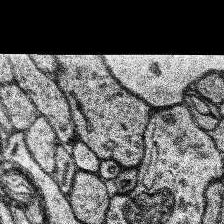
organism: Human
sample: Temporal Lobe